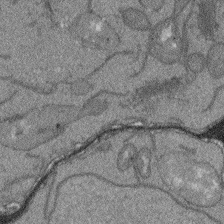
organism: Arabidopsis thaliana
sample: Root tip